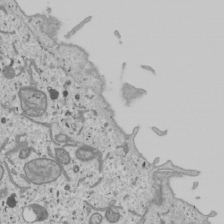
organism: Human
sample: Mitochondria in U2OS cells